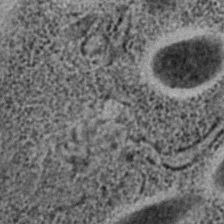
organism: C. elegans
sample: C. elegans embryo